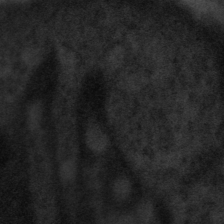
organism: Tuwongella immobilis